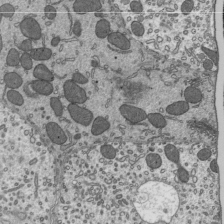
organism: Mouse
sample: Mouse epididymis efferent ductule cilia